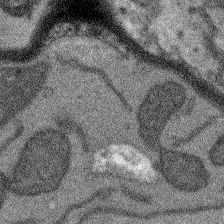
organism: Arabidopsis thaliana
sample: Root tip